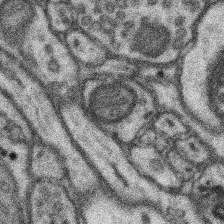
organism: Mouse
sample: Somatosensory cortex neuropil